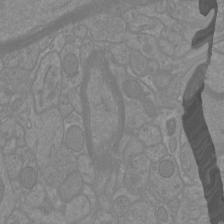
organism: Mouse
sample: Cortical neurons